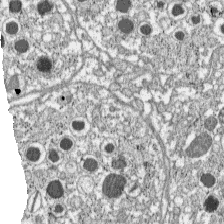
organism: C57BL Mouse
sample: Pancreatic islet